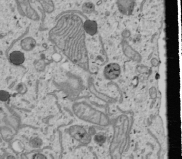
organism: Human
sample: Mitochondria in U2OS cells